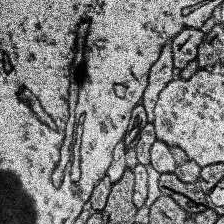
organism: Human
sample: Temporal Lobe